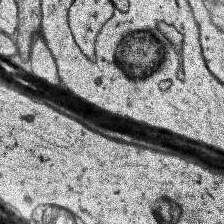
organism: Human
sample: Temporal Lobe